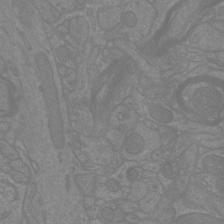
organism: Mouse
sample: Cortical neurons